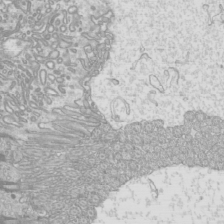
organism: Mouse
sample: Cilia; mouse epididymis